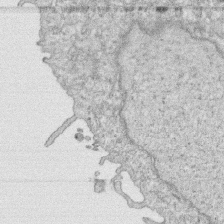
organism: Human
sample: HeLa cell HIV synapse